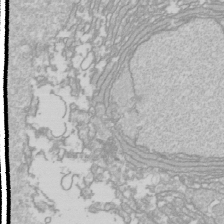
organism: Drosophila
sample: Cell division; meiosis; drosophila spermatocytes